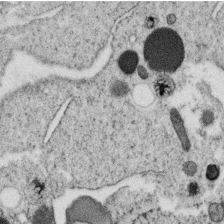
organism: C. elegans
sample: C. elegans oocyte; sperm cells